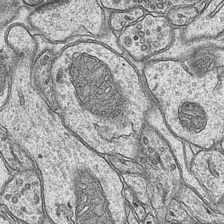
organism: Mouse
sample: CA1 Hippocampus